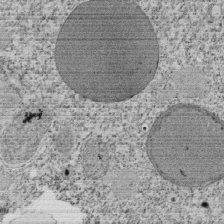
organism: Tetrahymena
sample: Cilia in tetrahymena